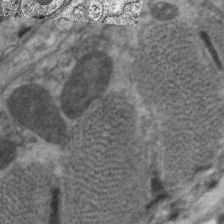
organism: C. elegans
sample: Pharynx